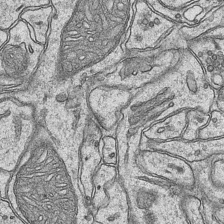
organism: Mouse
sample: CA1 Hippocampus